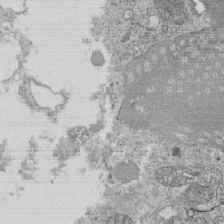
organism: Tetrahymena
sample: Cilia in tetrahymena